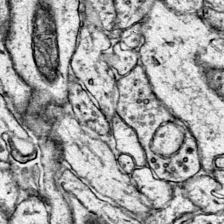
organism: Mouse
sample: Primary visual cortex